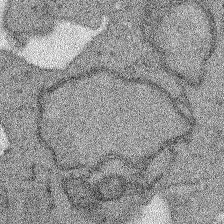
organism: Human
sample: HeLa cells